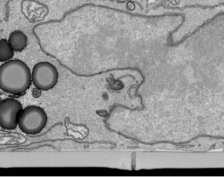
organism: Human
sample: Mitochondria in HCT116 cells